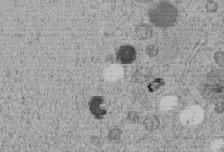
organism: C. elegans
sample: C. elegans embryo early stage